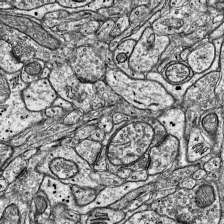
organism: Mouse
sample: Visual Cortex